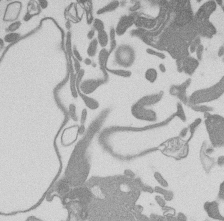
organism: Mouse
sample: Dividing mouse embryo 1 cell stage